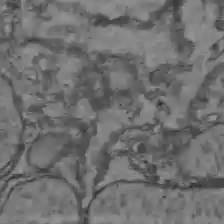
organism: C57BL Mouse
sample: Liver